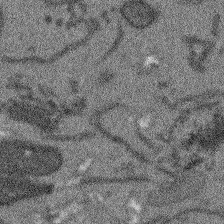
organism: Arabidopsis thaliana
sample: Root tip